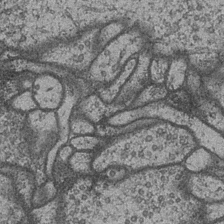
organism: Drosophila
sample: Optic medulla